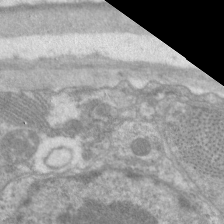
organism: C. elegans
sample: Pharynx